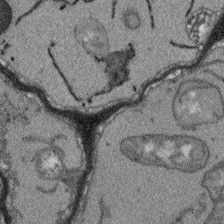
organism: Arabidopsis thaliana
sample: Root tip